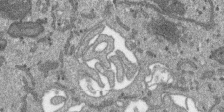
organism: Human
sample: Lung epithelial cells infected with SARS-CoV-2